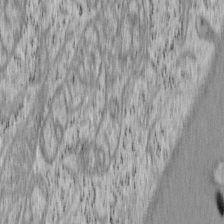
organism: Human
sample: HeLa cells